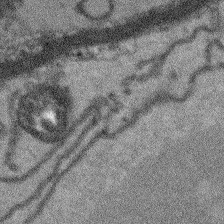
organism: Arabidopsis thaliana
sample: Root tip